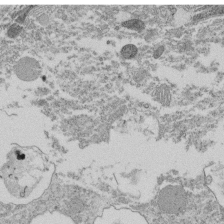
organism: Tetrahymena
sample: Cilia in tetrahymena